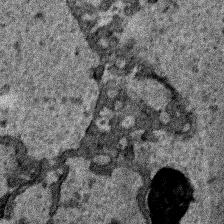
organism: Human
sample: Mitochondria in HCT116 cells